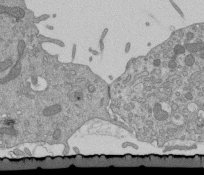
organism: Mouse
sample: ED-1 cell nuclei; centrioles